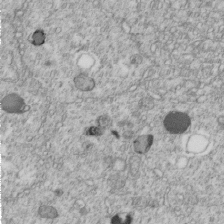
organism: C. elegans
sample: C. elegans embryo early stage